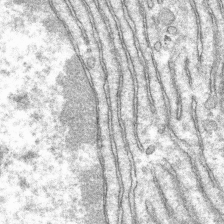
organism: Mouse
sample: Mouse hepatocytes